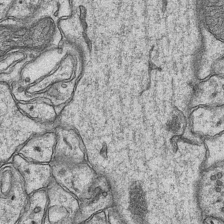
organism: Mouse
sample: CA1 Hippocampus